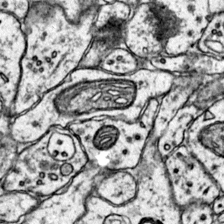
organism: Mouse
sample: Primary visual cortex